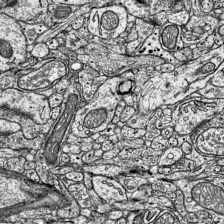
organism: Mouse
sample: Visual Cortex